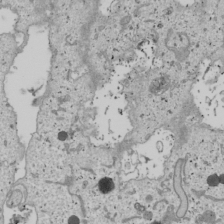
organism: Human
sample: Mitochondria in U2OS cells